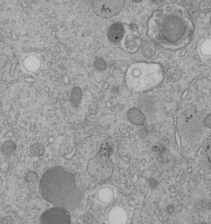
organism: C. elegans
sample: C. elegans embryo early stage